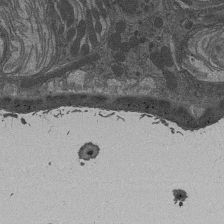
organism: Drosophila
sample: Antenna